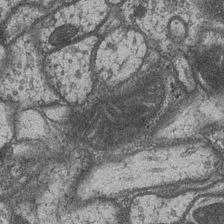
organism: Drosophila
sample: Optic medulla